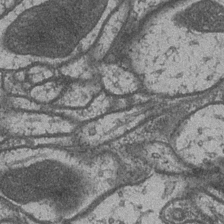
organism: Drosophila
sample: Optic medulla